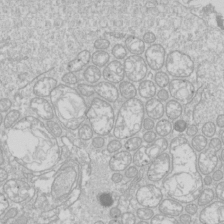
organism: Drosophila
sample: Cell division; meiosis; drosophila spermatocytes